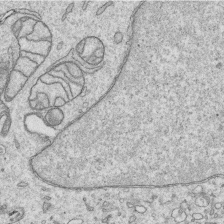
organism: Human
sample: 1205lu cells